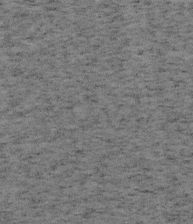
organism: Mouse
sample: OT-I killer T cells with ID8 ovarian cancer cells